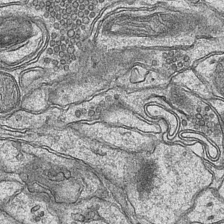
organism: Mouse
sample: CA1 Hippocampus